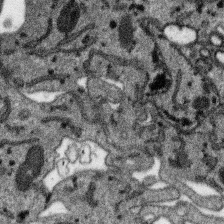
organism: Human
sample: Lung epithelial cells infected with SARS-CoV-2